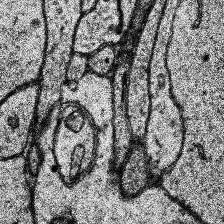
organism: Human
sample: Temporal Lobe